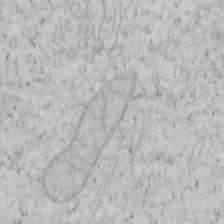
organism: Human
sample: HeLa cells